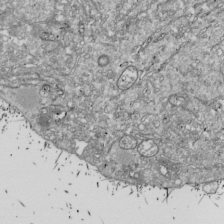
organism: Drosophila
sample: Cell division; meiosis; drosophila spermatocytes